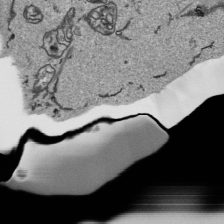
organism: Human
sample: Mitochondria in HCT116 cells